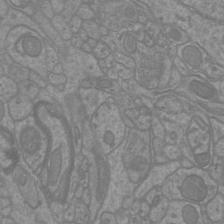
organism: Mouse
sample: Cortical neurons